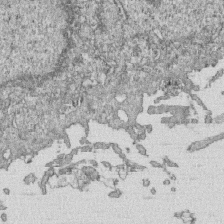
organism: Human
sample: HeLa cell HIV synapse